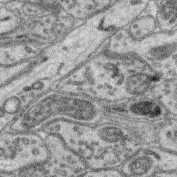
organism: Mouse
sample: Retina